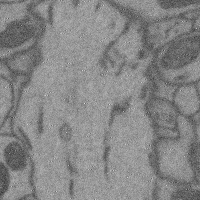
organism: Mouse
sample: Cerebral cortex